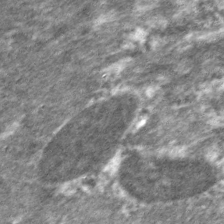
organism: C. elegans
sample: Pharynx